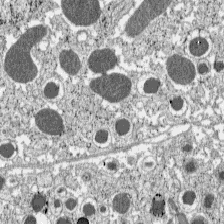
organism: C57BL Mouse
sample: Pancreatic islet